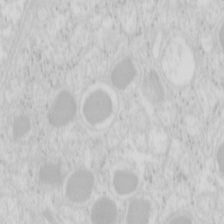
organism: Mouse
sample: Pancreas